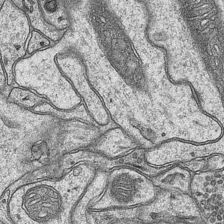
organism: Mouse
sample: CA1 Hippocampus